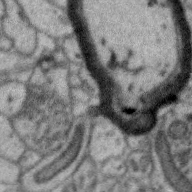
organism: Zebra finch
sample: Brain